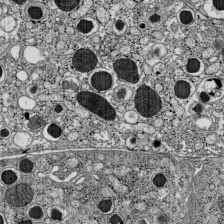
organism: C57BL Mouse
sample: Pancreatic islet